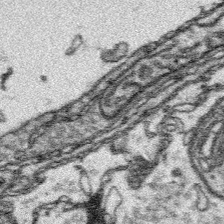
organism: Platynereis dumerilii